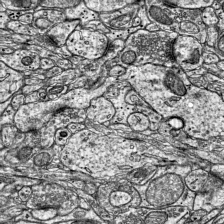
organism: Mouse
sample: Visual Cortex